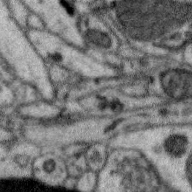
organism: Zebra finch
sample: Brain